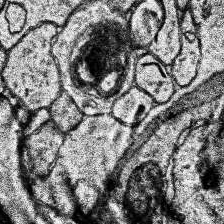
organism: Human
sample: Temporal Lobe